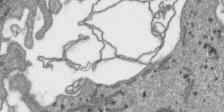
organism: Human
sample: Lung epithelial cells infected with SARS-CoV-2